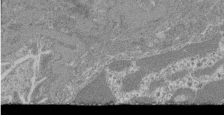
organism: Mouse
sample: Glomerulus